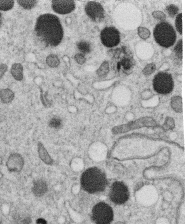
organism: C. elegans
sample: C. elegans oocyte; sperm cells